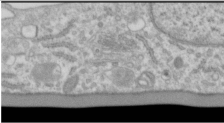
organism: Human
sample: Cilia; basal body in RPE cells